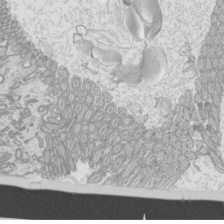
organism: Mouse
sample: Cilia; mouse epididymis